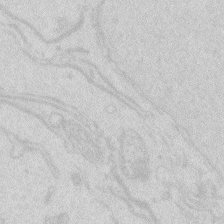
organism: Zebrafish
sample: Macrophage